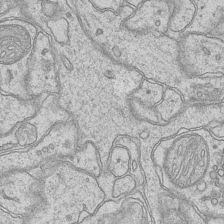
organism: Mouse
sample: CA1 Hippocampus